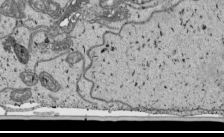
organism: Human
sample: Mitochondria in HCT116 cells